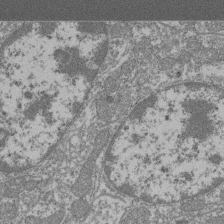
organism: Mouse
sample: Glomerulus